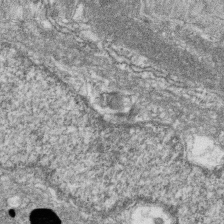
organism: Zebrafish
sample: Cilia; retinal pigment epithelium